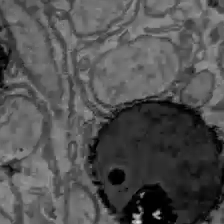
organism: C57BL Mouse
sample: Liver